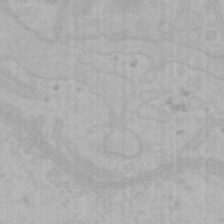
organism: Mouse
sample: Choroid plexus